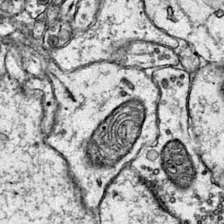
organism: Mouse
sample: Primary visual cortex